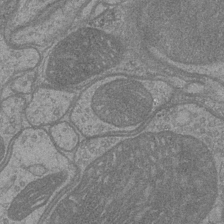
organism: Drosophila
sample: Optic medulla